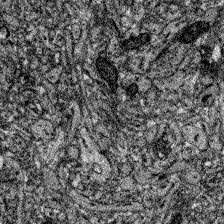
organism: Zebrafish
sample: Larval olfactory bulb